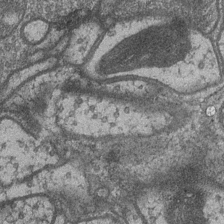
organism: Drosophila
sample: Optic medulla